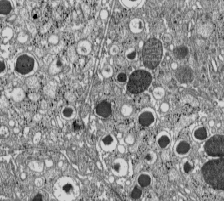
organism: C57BL Mouse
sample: Pancreatic islet